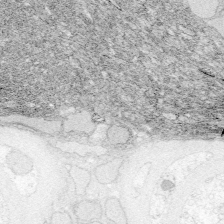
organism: Zebrafish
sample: Whole-Brain